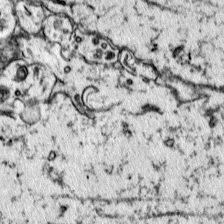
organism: Mouse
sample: Primary visual cortex